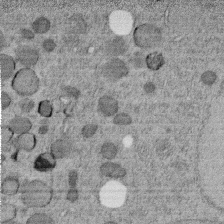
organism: C. elegans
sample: C. elegans embryo early stage